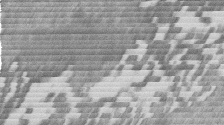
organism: Mouse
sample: Dividing mouse embryo 1 cell stage